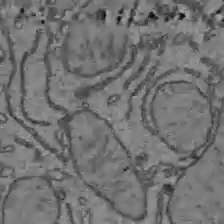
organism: C57BL Mouse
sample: Liver